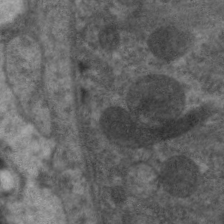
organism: C. elegans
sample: Pharynx